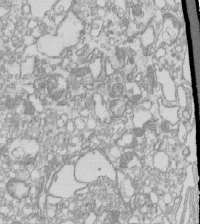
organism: Mouse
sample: Macrophages